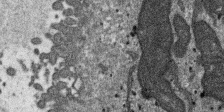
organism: Human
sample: Lung epithelial cells infected with SARS-CoV-2